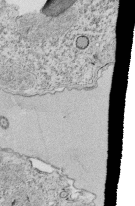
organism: Tetrahymena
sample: Cilia in tetrahymena